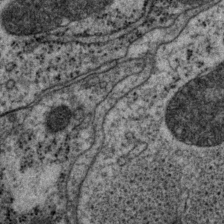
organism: P. pacificus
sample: Pharynx